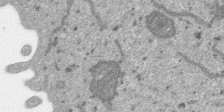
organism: Human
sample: Lung epithelial cells infected with SARS-CoV-2